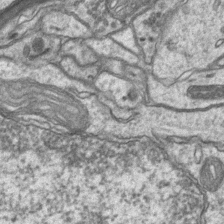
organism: Mouse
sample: CA1 Hippocampus